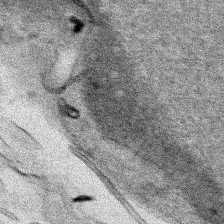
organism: Human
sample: Mitochondria in HCT116 cells